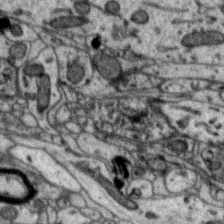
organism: Zebra finch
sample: Brain